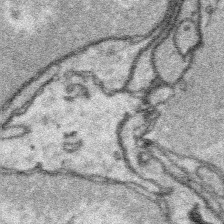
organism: Platynereis dumerilii